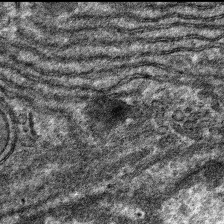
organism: Mouse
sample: Mouse hepatocytes